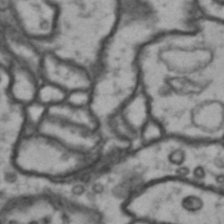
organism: Drosophila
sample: Brain